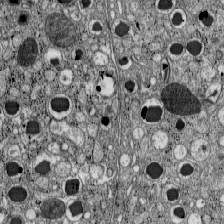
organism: C57BL Mouse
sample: Pancreatic islet